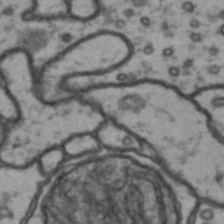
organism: Drosophila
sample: Brain